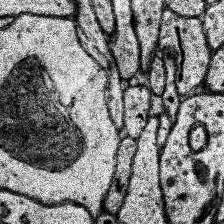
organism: Human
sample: Temporal Lobe